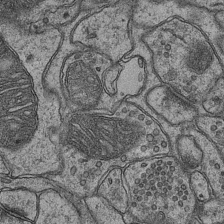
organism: Mouse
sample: CA1 Hippocampus